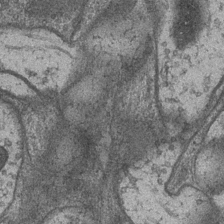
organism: Drosophila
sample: Optic medulla